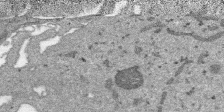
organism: Human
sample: Lung epithelial cells infected with SARS-CoV-2